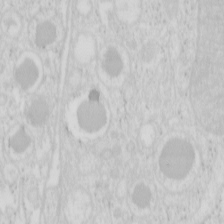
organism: Mouse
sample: Pancreas